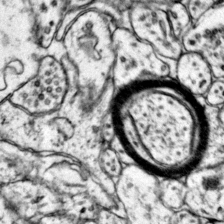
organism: Mouse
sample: Primary visual cortex